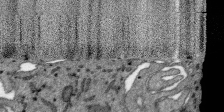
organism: Human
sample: Lung epithelial cells, uninfected (mock) control